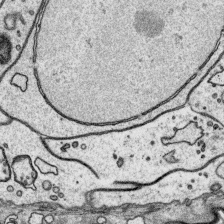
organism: Platynereis dumerilii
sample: Parapodia